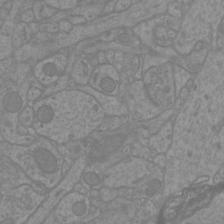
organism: Mouse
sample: Cortical neurons